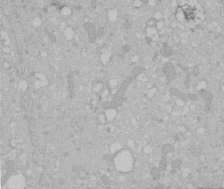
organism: Human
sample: Melanocyte Keratinocyte synapse skin construct